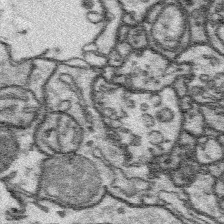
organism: Platynereis dumerilii